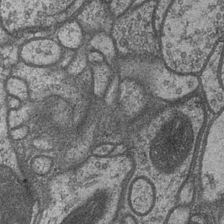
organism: Drosophila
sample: Optic medulla